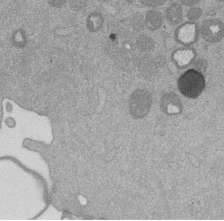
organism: Mouse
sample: Dividing mouse embryo 1 cell stage